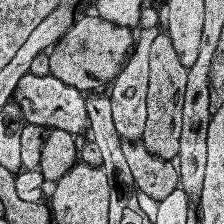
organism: Human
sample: Temporal Lobe